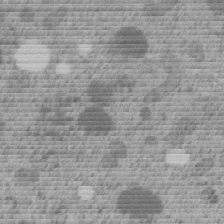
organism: C. elegans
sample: C. elegans embryo early stage